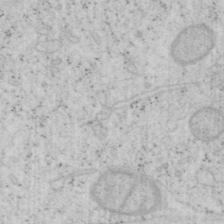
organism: Human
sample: HeLa cells